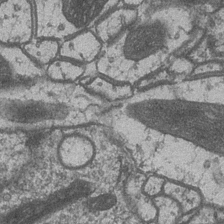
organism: Drosophila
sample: Optic medulla